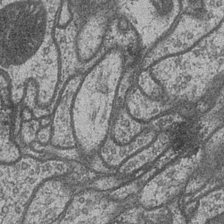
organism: Drosophila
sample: Optic medulla